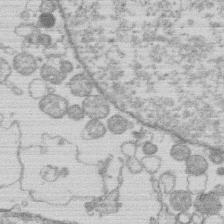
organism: Human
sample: Macrophage cells